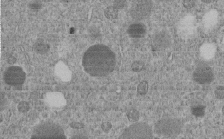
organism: C. elegans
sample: C. elegans embryo early stage